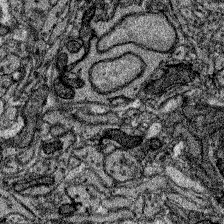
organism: Zebrafish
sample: Larval olfactory bulb